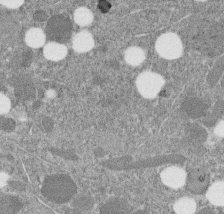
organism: C. elegans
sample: C. elegans embryo early stage